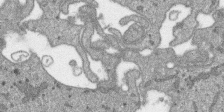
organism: Human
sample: Lung epithelial cells infected with SARS-CoV-2